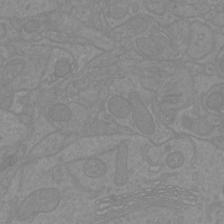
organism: Mouse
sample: Cortical neurons